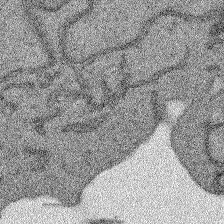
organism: Human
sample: HeLa cells